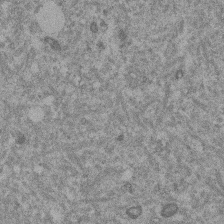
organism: Mouse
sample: Dividing mouse embryo 1 cell stage